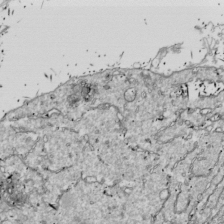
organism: Drosophila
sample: Cell division; meiosis; drosophila spermatocytes